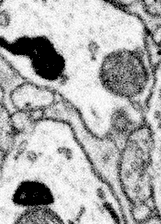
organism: Mouse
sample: Somatosensory cortex neuropil